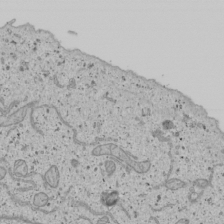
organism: Human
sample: Mitochondria in U2OS cells